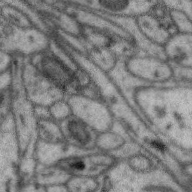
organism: Zebra finch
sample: Brain